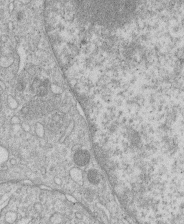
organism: Human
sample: Macrophage cells